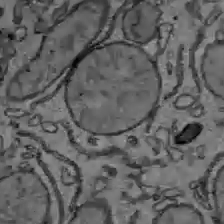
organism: C57BL Mouse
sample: Liver